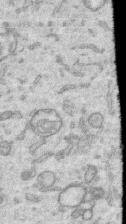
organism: Human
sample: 1205lu cells